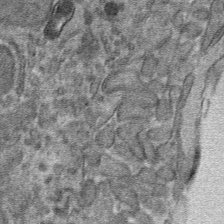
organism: Mouse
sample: Mouse hepatocytes